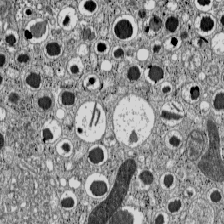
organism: C57BL Mouse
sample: Pancreatic islet